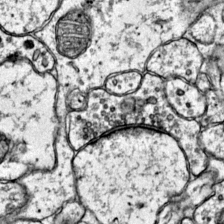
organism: Mouse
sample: Primary visual cortex